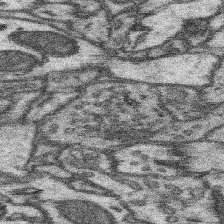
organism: Mouse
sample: Somatosensory cortex neuropil